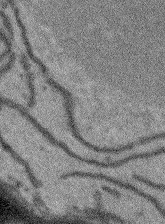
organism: Arabidopsis thaliana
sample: Root tip